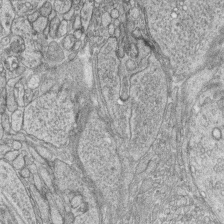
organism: Zebrafish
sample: synaptic ribbons in rod cells and cone cells